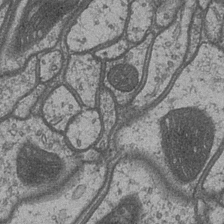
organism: Drosophila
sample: Optic medulla